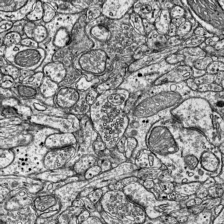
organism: Mouse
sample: Visual Cortex